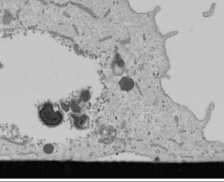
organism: Human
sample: Mitochondria in U2OS cells